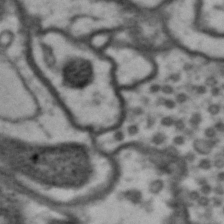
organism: Drosophila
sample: Brain